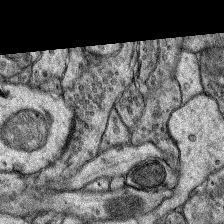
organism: Rat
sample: Hippocampus